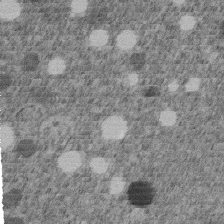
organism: C. elegans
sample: C. elegans embryo early stage